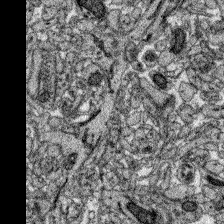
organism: Zebrafish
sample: Larval olfactory bulb